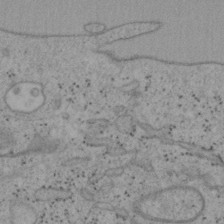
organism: Human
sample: HeLa cells